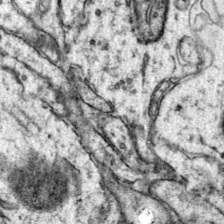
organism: Mouse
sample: Primary visual cortex